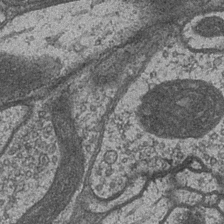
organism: Drosophila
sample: Optic medulla